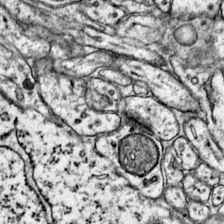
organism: Mouse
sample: Primary visual cortex